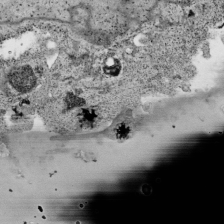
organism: Human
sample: Mitochondria in HCT116 cells